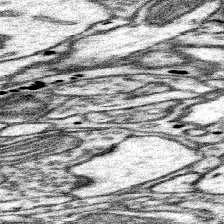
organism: Mouse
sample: Somatosensory cortex neuropil